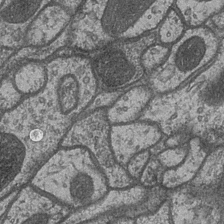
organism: Drosophila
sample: Optic medulla